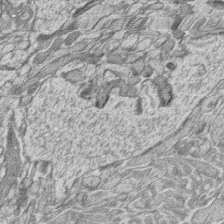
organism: Zebrafish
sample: synaptic ribbons in rod cells and cone cells